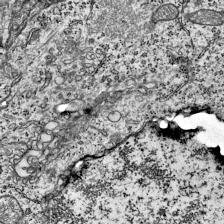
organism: Mouse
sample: Visual Cortex